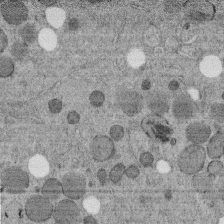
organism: C. elegans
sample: C. elegans embryo early stage